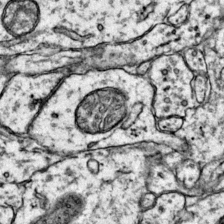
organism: Mouse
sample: Primary visual cortex